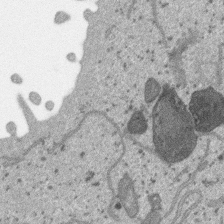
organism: Human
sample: Lung epithelial cells infected with SARS-CoV-2